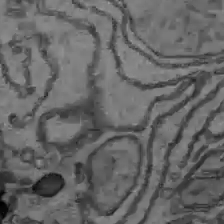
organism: C57BL Mouse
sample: Liver